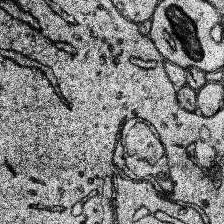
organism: Human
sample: Temporal Lobe